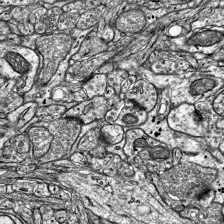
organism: Mouse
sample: Visual Cortex